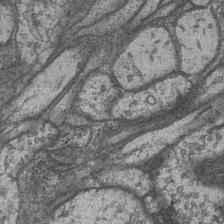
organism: Drosophila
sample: Optic medulla